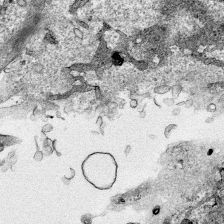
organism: Human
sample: Mitochondria in HCT116 cells